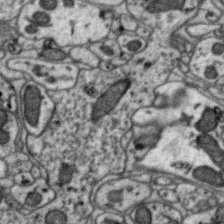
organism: Zebra finch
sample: Brain